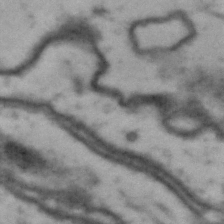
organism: Drosophila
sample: Brain